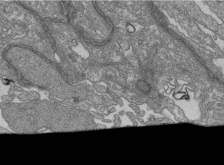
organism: Human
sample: Retinal organoid Rod and Cone cells